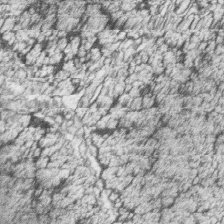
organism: Zebrafish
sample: synaptic ribbons in rod cells and cone cells